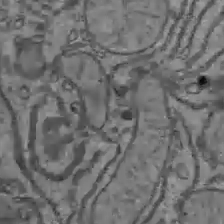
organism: C57BL Mouse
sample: Liver